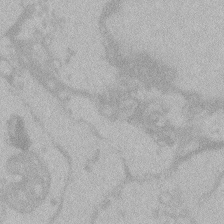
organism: Zebrafish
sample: Macrophage infected with Toxoplasma gondii